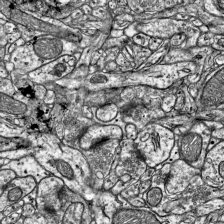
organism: Mouse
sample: Visual Cortex